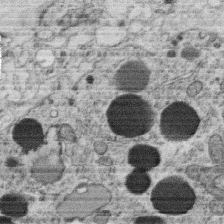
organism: C. elegans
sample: C. elegans oocyte; sperm cells